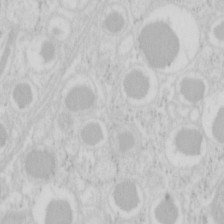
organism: Mouse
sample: Pancreas